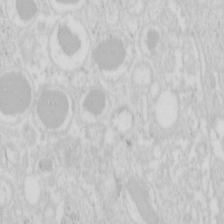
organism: Mouse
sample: Pancreas